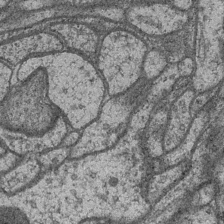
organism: Drosophila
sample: Optic medulla